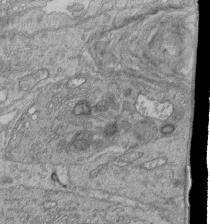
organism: Human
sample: Retinal organoid Rod and Cone cells